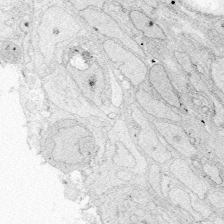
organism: Zebrafish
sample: Whole-Brain